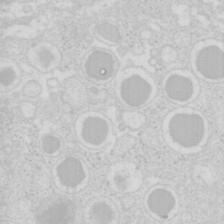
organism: Mouse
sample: Pancreas